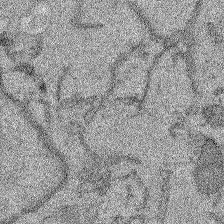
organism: Human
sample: HeLa cells